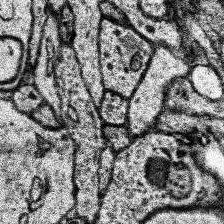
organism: Human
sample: Temporal Lobe